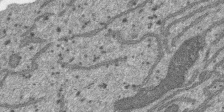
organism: Human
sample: Lung epithelial cells infected with SARS-CoV-2